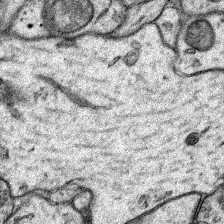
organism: Rat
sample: Hippocampus